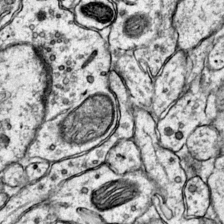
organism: Mouse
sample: Primary visual cortex